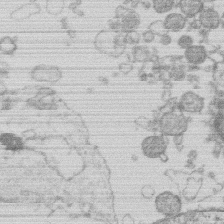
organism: Human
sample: Macrophage cells